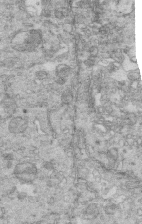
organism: Mouse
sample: Multiciliated cells